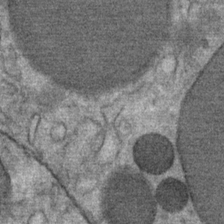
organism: Mouse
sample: Mouse Salivary gland